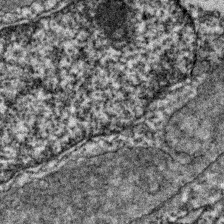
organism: Zebrafish